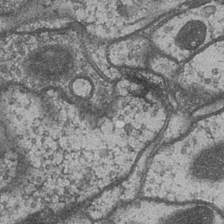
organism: Drosophila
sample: Optic medulla